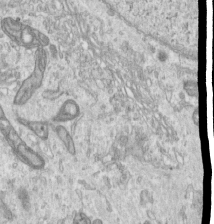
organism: Human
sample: Centriole in RPE cells